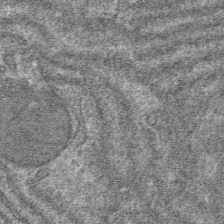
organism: Mouse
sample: Mouse hepatocytes